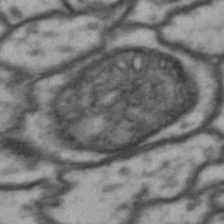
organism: Drosophila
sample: Brain